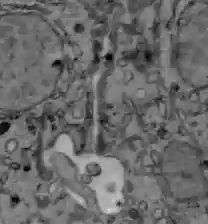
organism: C57BL Mouse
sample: Liver